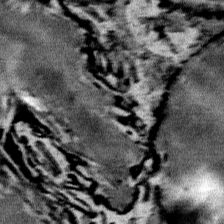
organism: Mouse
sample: Mouse Salivary gland